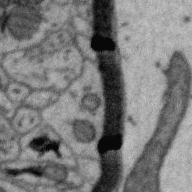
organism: Zebra finch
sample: Brain